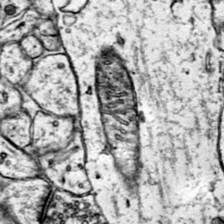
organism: Mouse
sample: Primary visual cortex